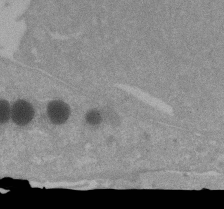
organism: Mouse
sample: ED-1 cell nuclei; centrioles